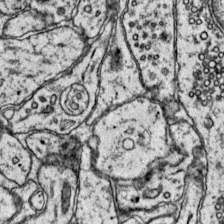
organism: Mouse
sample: Primary visual cortex